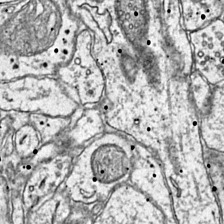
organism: Mouse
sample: Primary visual cortex